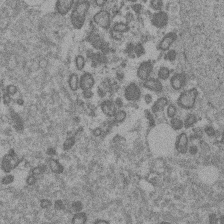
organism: Mouse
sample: Dividing mouse embryo 1 cell stage